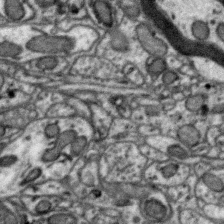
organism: Zebra finch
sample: Brain